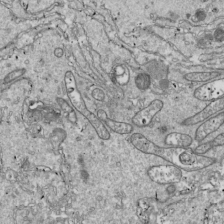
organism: Drosophila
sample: Cell division; meiosis; drosophila spermatocytes